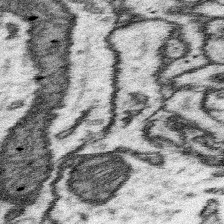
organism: Mouse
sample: Somatosensory cortex neuropil